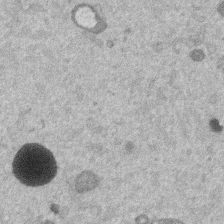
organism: Mouse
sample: Dividing mouse embryo 1 cell stage